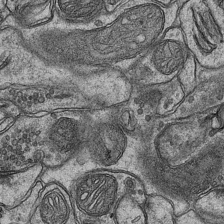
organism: Mouse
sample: CA1 Hippocampus